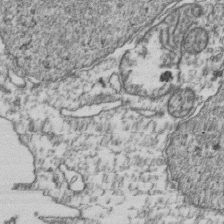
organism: Human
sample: Activated Jurkat CD4+ T cells